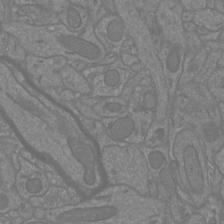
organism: Mouse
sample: Cortical neurons